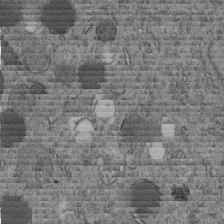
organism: C. elegans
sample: C. elegans embryo early stage